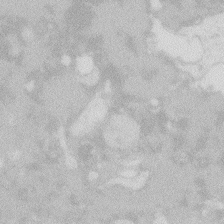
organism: Zebrafish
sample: Macrophage